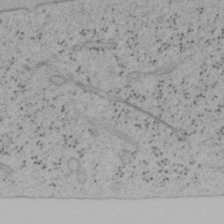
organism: Human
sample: HeLa cells